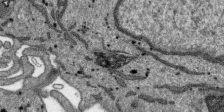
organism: Human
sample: Lung epithelial cells, uninfected (mock) control